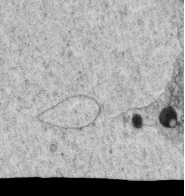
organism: C. elegans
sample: C. elegans oocyte; sperm cells